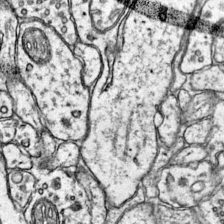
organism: Mouse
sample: Primary visual cortex